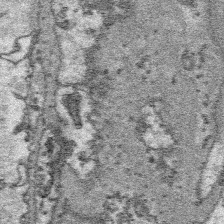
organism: Platynereis dumerilii